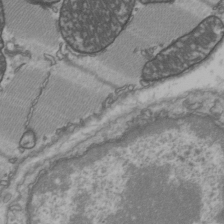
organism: C57BL Mouse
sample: Heart